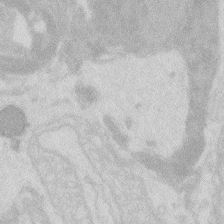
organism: Zebrafish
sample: Macrophage